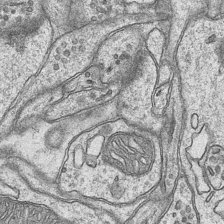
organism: Mouse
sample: CA1 Hippocampus